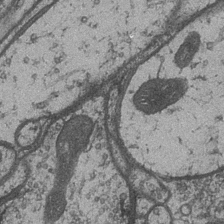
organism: Drosophila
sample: Optic medulla